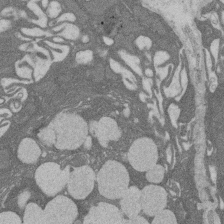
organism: Rat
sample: Salivary granule